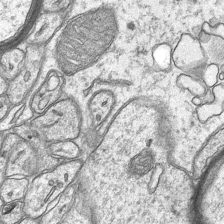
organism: Mouse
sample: CA1 Hippocampus